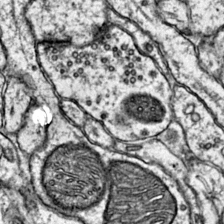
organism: Mouse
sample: Primary visual cortex